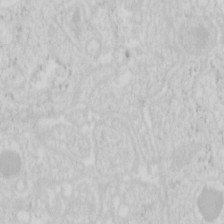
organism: Mouse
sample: Pancreas